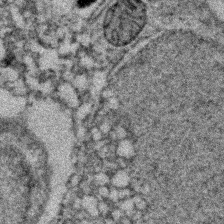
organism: Zebrafish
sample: Zebrafish embryo